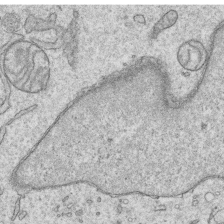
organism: Human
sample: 1205lu cells